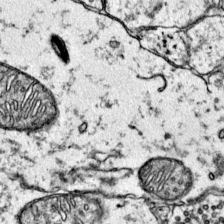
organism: Mouse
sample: Primary visual cortex